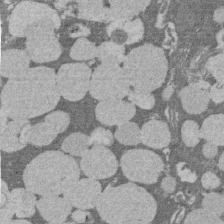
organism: Rat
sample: Salivary granule